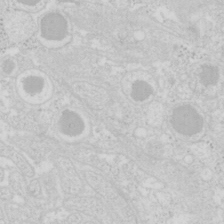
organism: Mouse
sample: Pancreas